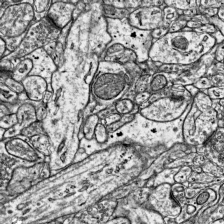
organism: Mouse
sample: Visual Cortex